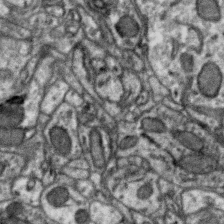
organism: Zebra finch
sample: Brain